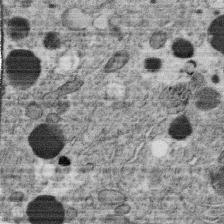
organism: C. elegans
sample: C. elegans oocyte; sperm cells